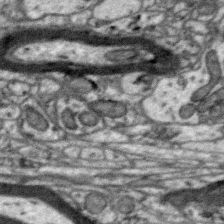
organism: Zebra finch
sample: Brain